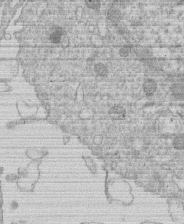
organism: Human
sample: Macrophage cells